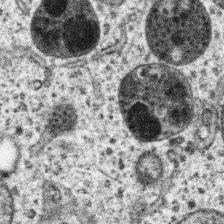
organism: Human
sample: HeLa cells